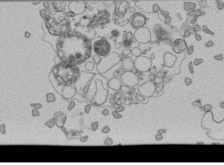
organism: Human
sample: Retinal organoid Rod and Cone cells